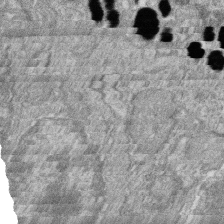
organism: Zebrafish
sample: Cilia; retinal pigment epithelium